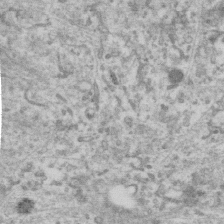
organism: Human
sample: Centriole in RPE cells